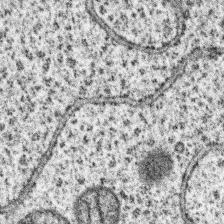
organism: Human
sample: HeLa cells